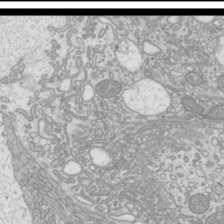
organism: Mouse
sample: Cilia; mouse epididymis